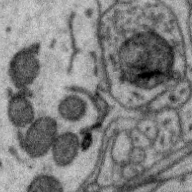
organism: Zebra finch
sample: Brain